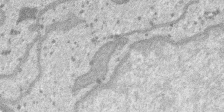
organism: Human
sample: Lung epithelial cells infected with SARS-CoV-2